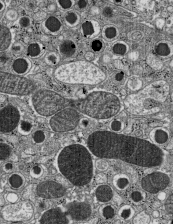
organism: C57BL Mouse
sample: Pancreatic islet